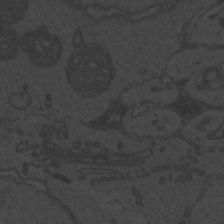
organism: Zebrafish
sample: Macrophage infected with Toxoplasma gondii